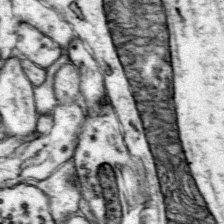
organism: Mouse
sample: Primary visual cortex